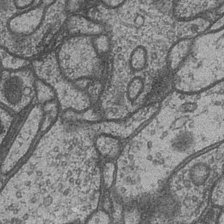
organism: Drosophila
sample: Optic medulla